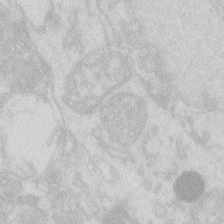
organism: Zebrafish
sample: Macrophage